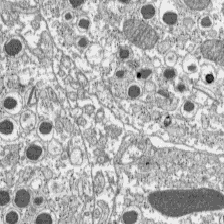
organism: C57BL Mouse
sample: Pancreatic islet